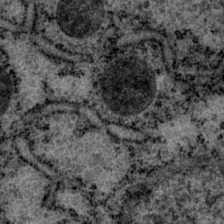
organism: P. pacificus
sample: Pharynx